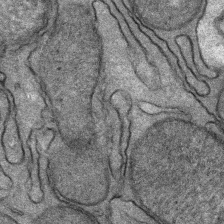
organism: Mouse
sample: Mouse Salivary gland